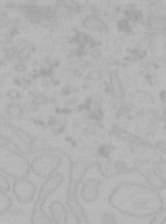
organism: Mouse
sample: Choroid plexus